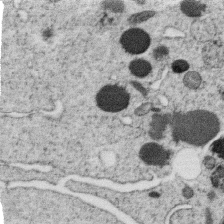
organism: C. elegans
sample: C. elegans oocyte; sperm cells